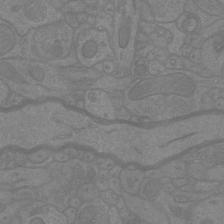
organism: Mouse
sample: Cortical neurons